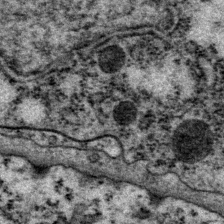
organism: P. pacificus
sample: Pharynx